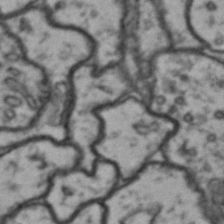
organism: Drosophila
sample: Brain